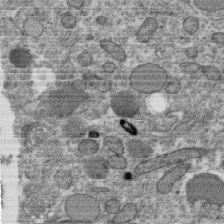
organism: C. elegans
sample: C. elegans oocyte; sperm cells